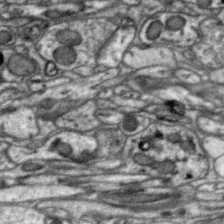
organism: Zebra finch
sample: Brain